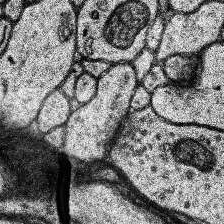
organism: Human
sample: Temporal Lobe